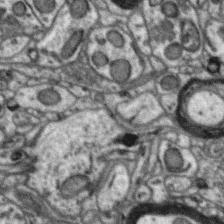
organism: Zebra finch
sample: Brain